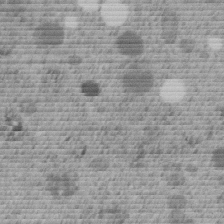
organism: C. elegans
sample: C. elegans embryo early stage